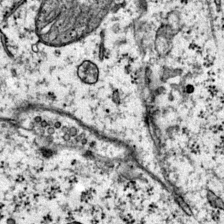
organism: Mouse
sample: Primary visual cortex